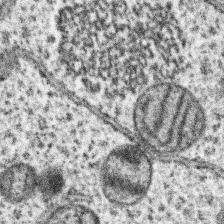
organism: Human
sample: HeLa cells